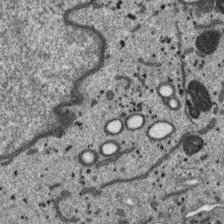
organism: Human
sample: Lung epithelial cells infected with SARS-CoV-2